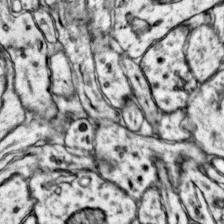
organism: Mouse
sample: Primary visual cortex